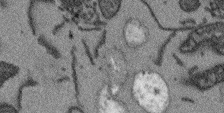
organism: Arabidopsis thaliana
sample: Root tip